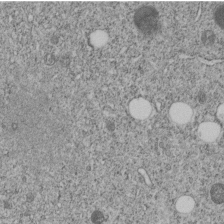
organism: C. elegans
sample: C. elegans embryo early stage